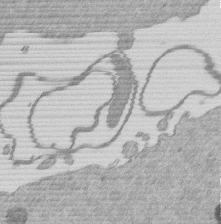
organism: Mouse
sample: Dividing mouse embryo 1 cell stage